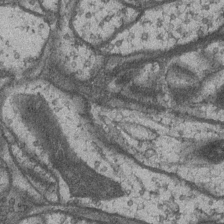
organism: Drosophila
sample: Optic medulla